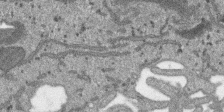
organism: Human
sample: Lung epithelial cells infected with SARS-CoV-2